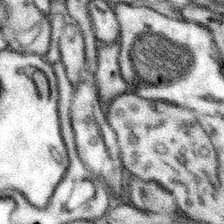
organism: Mouse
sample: Somatosensory cortex neuropil